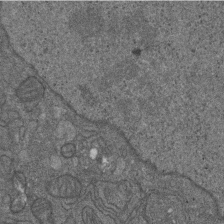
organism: Drosophila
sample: Nephrocyte